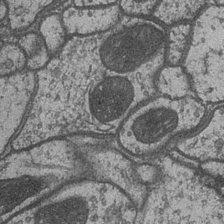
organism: Drosophila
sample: Optic medulla